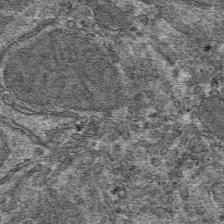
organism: Mouse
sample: Mouse hepatocytes